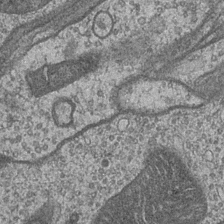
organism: Drosophila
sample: Optic medulla